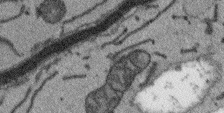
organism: Arabidopsis thaliana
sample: Root tip